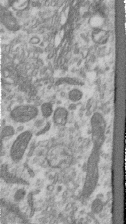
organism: Human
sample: Centriole in RPE cells